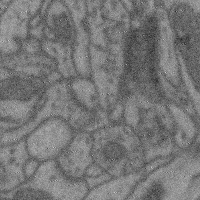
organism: Mouse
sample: Cerebral cortex